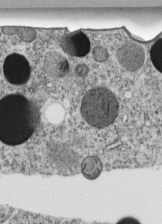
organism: C. elegans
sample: C. elegans embryo early stage